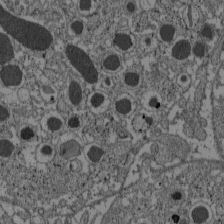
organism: C57BL Mouse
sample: Pancreatic islet